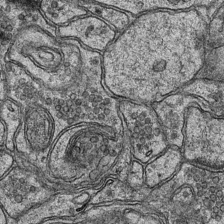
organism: Mouse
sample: CA1 Hippocampus